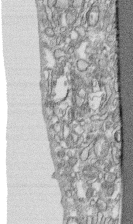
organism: Human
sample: CRL-1474